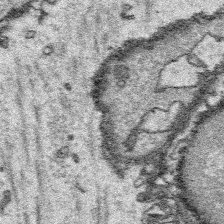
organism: Platynereis dumerilii